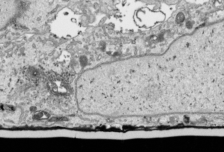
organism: Human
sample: Mitochondria in HCT116 cells